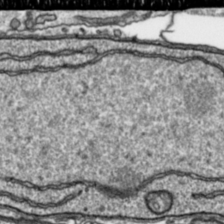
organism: Toxoplasma gondii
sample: Parasites in a vacuole inside a host cell